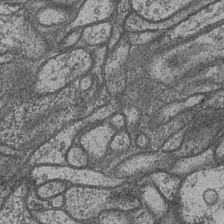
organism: Drosophila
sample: Optic medulla